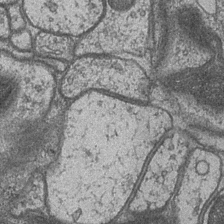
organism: Drosophila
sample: Optic medulla